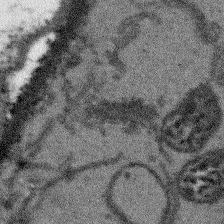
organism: Arabidopsis thaliana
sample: Root tip